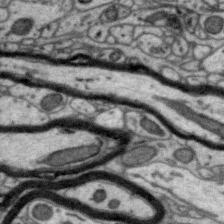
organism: Zebra finch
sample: Brain